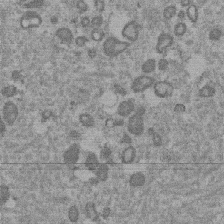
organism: Mouse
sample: Dividing mouse embryo 1 cell stage